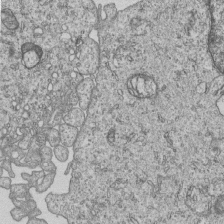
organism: Human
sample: MDA-MB-231 cells